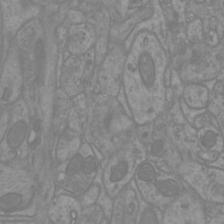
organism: Mouse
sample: Cortical neurons